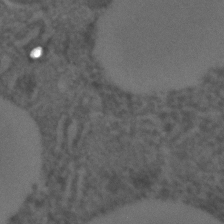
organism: C. elegans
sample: C. elegans embryo